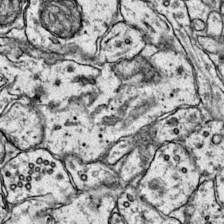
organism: Mouse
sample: Primary visual cortex